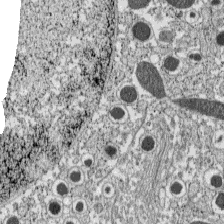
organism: C57BL Mouse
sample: Pancreatic islet